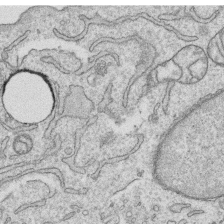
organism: Human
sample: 1205lu cells